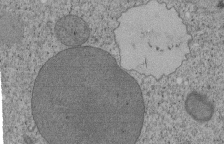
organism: Tetrahymena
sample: Cilia in tetrahymena